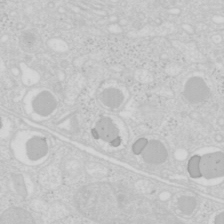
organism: Mouse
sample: Pancreas